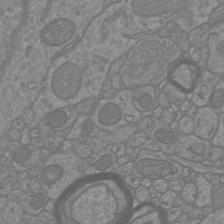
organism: Mouse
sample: Cortical neurons